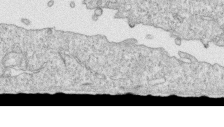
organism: Human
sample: HeLa cell HIV synapse